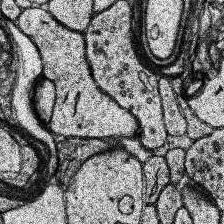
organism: Human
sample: Temporal Lobe